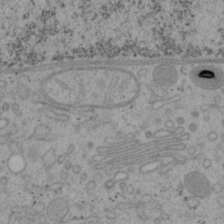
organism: Human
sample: HeLa cells